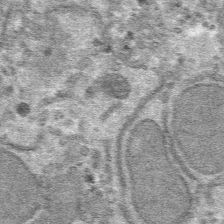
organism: Mouse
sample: Mouse hepatocytes